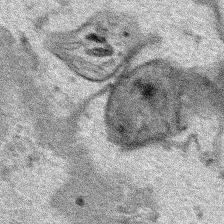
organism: Human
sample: Mitochondria in HCT116 cells